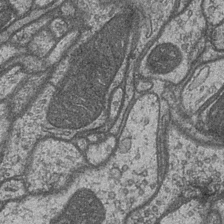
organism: Drosophila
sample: Optic medulla